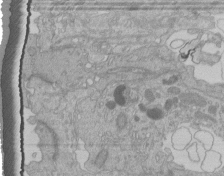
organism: Human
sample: Retinal organoid Rod and Cone cells